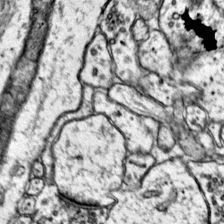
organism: Mouse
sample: Primary visual cortex